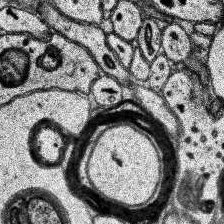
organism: Human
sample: Temporal Lobe